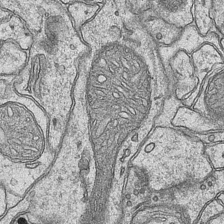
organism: Mouse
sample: CA1 Hippocampus